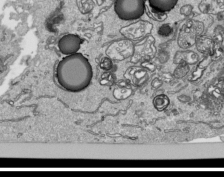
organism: Human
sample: Mitochondria in HCT116 cells